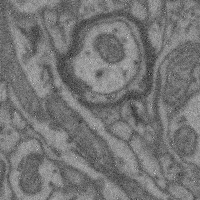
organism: Mouse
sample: Cerebral cortex